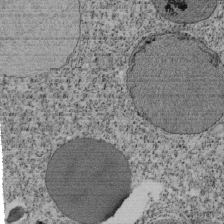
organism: Tetrahymena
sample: Cilia in tetrahymena